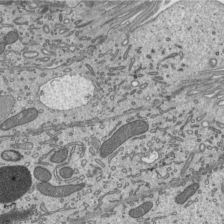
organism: Mouse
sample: Mouse epididymis efferent ductule cilia